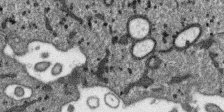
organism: Human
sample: Lung epithelial cells infected with SARS-CoV-2